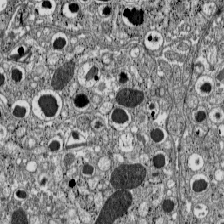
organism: C57BL Mouse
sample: Pancreatic islet